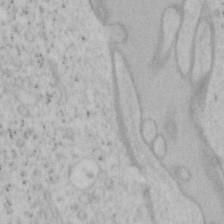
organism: Human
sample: HeLa cells